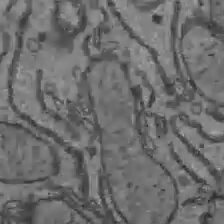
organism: C57BL Mouse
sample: Liver